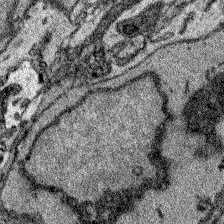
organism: Zebrafish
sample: Larval olfactory bulb